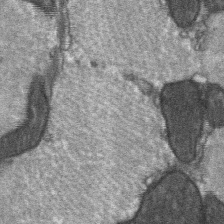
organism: C57BL Mouse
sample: Soleus